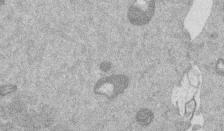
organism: Mouse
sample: Dividing mouse embryo 1 cell stage